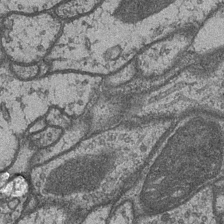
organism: Drosophila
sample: Optic medulla